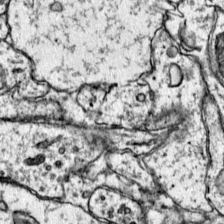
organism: Mouse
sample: Primary visual cortex